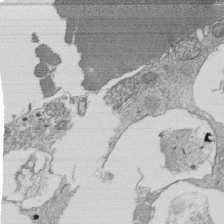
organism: Tetrahymena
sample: Cilia in tetrahymena